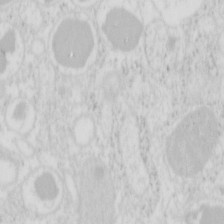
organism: Mouse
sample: Pancreas